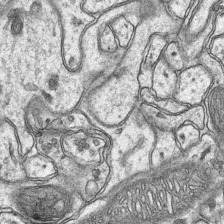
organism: Mouse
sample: CA1 Hippocampus